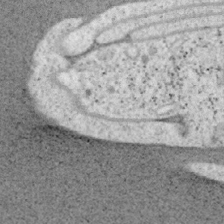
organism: Mouse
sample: OT-I killer T cells with ID8 ovarian cancer cells